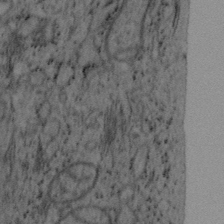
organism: Human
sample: HeLa cells